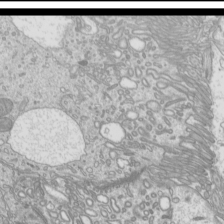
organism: Mouse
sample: Cilia; mouse epididymis